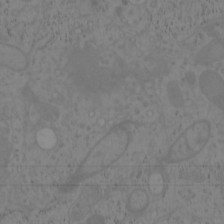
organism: Human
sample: HeLa cells